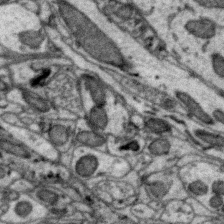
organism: Zebra finch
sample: Brain